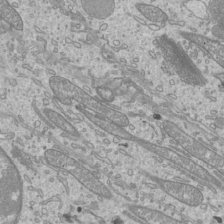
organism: Mouse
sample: Cilia; mouse epididymis